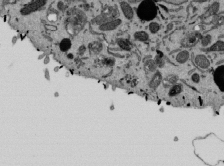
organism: Mouse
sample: ED-1 cell nuclei; centrioles